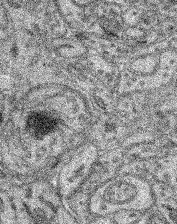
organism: Mouse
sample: Retina